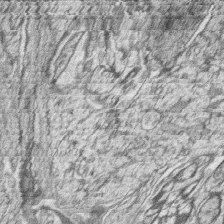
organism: Zebrafish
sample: synaptic ribbons in rod cells and cone cells